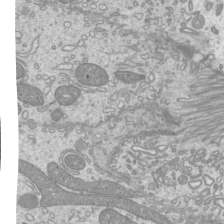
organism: Mouse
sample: Cilia; mouse epididymis